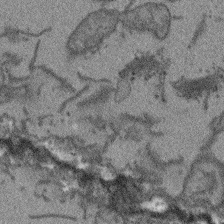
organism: Arabidopsis thaliana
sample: Root tip